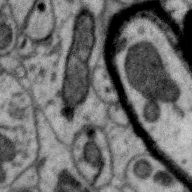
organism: Zebra finch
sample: Brain